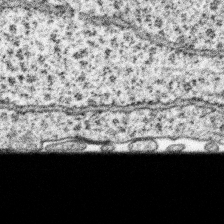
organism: Human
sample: HeLa cells